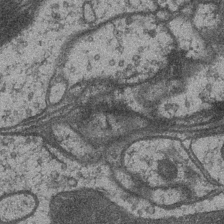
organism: Drosophila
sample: Optic medulla